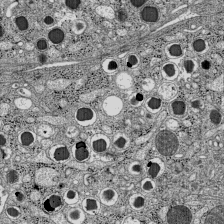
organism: C57BL Mouse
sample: Pancreatic islet